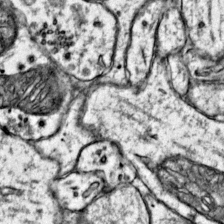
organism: Mouse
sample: Primary visual cortex